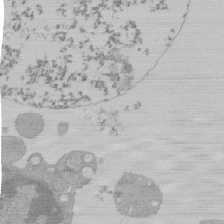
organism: Mouse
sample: Activated Pmel transgenic CD8+ T Cells